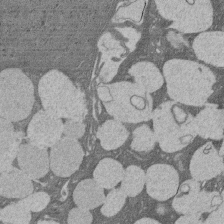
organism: Rat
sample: Salivary granule